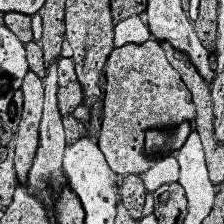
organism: Human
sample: Temporal Lobe